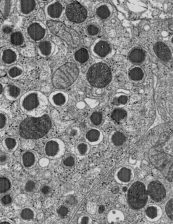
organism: C57BL Mouse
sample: Pancreatic islet